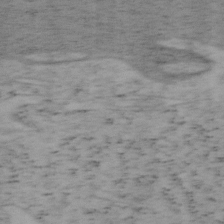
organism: Mouse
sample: OT-I killer T cells with ID8 ovarian cancer cells